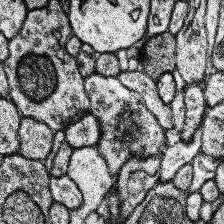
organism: Human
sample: Temporal Lobe